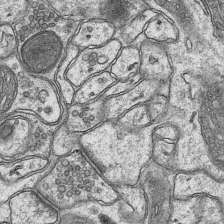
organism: Mouse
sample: CA1 Hippocampus